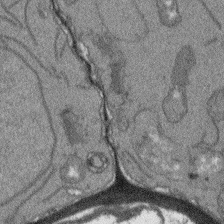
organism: Arabidopsis thaliana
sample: Root tip